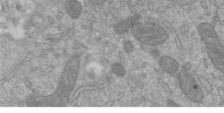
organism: Mouse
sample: ED-1 cell nuclei; centrioles